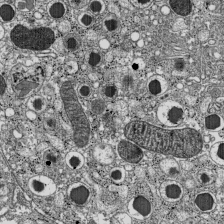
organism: C57BL Mouse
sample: Pancreatic islet